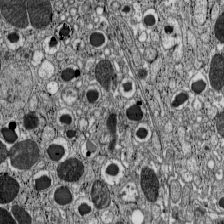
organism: C57BL Mouse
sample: Pancreatic islet